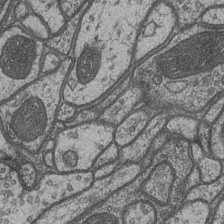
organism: Drosophila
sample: Optic medulla